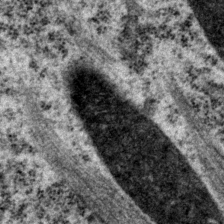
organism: P. pacificus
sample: Pharynx